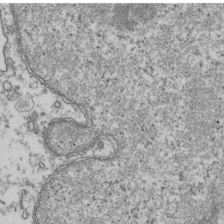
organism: Human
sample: Activated Jurkat CD4+ T cells